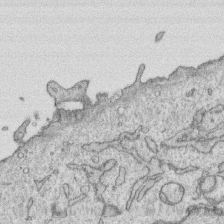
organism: Human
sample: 1205lu cells